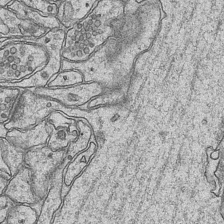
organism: Mouse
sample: CA1 Hippocampus